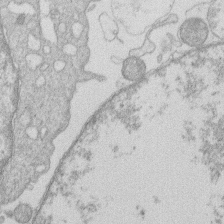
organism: Human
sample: Macrophage cells